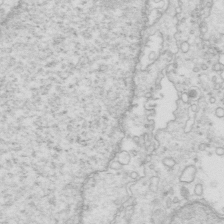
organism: Mouse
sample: Multiciliated cells